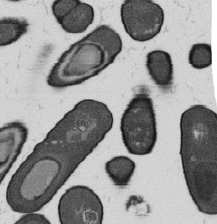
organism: B. subtilis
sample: Bacterial spore